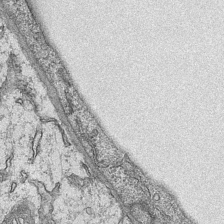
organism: Mouse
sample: CA1 Hippocampus